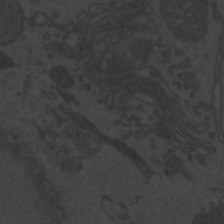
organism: Zebrafish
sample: Macrophage infected with Toxoplasma gondii